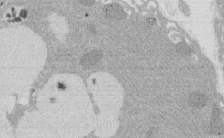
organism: Rat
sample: Salivary granule